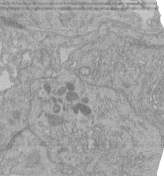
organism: Human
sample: Retinal organoid Rod and Cone cells